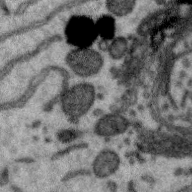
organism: Zebra finch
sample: Brain